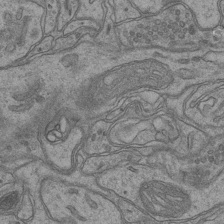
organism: Mouse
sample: CA1 Hippocampus